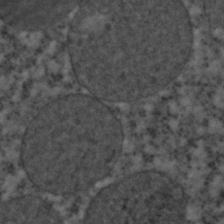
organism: C. elegans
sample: C. elegans embryo